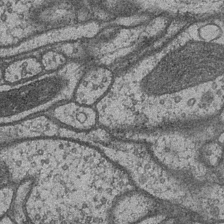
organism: Drosophila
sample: Optic medulla